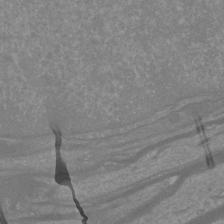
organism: Mouse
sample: Cortical neurons